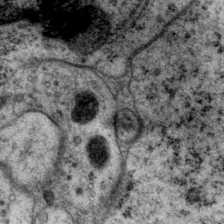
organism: P. pacificus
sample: Pharynx